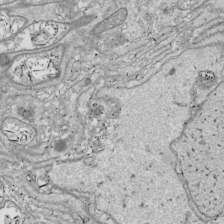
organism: Drosophila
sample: Cell division; meiosis; drosophila spermatocytes